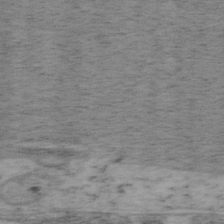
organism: Mouse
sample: OT-I killer T cells with ID8 ovarian cancer cells